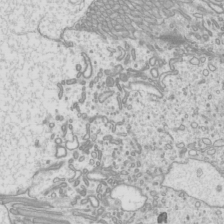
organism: Mouse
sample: Cilia; mouse epididymis